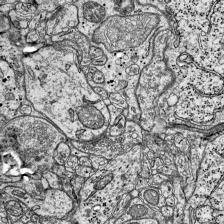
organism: Mouse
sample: Visual Cortex